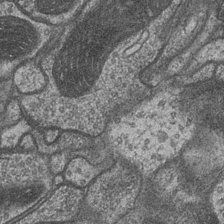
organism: Drosophila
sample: Optic medulla